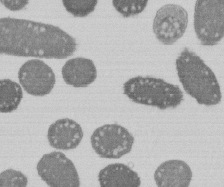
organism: E. coli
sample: Bacterial nucleoid